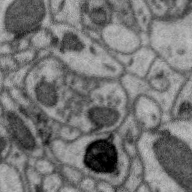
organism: Zebra finch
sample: Brain